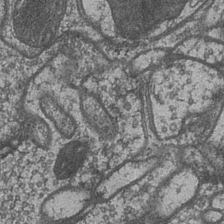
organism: Drosophila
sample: Optic medulla